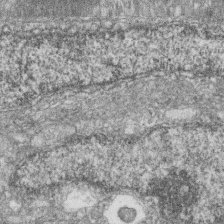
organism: Zebrafish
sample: Cilia; retinal pigment epithelium